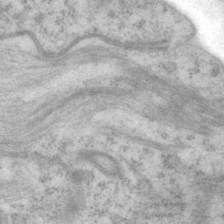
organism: P. pacificus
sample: Pharynx